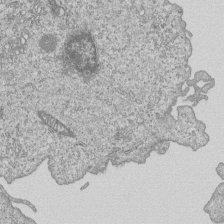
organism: Human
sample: MDA-MB-231 cells